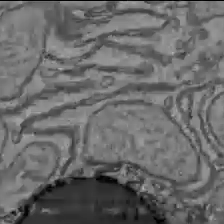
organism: C57BL Mouse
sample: Liver